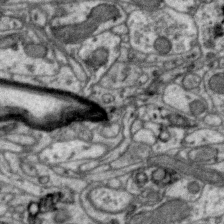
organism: Zebra finch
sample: Brain